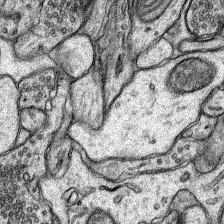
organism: Rat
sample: Hippocampus